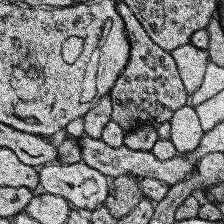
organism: Human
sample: Temporal Lobe